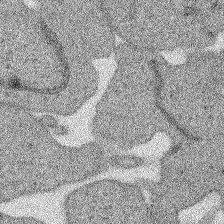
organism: Human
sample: HeLa cells